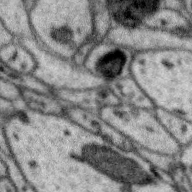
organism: Zebra finch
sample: Brain